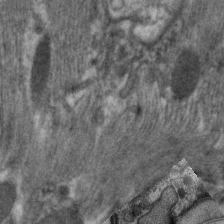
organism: C. elegans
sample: Pharynx